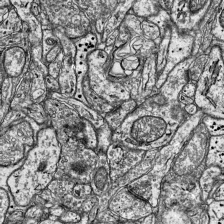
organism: Mouse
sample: Visual Cortex